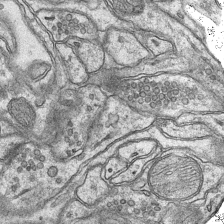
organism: Mouse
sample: CA1 Hippocampus